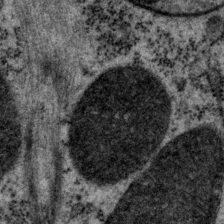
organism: P. pacificus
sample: Pharynx